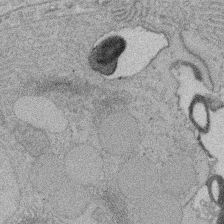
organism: Rat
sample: Salivary granule